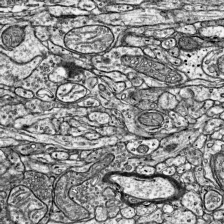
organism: Mouse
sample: Visual Cortex